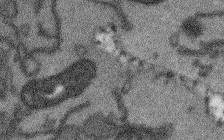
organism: Arabidopsis thaliana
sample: Root tip